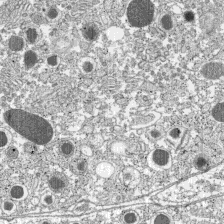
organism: C57BL Mouse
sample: Pancreatic islet